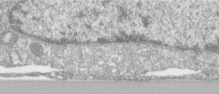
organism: Human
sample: Centriole in RPE cells